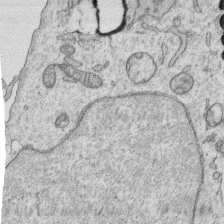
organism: Human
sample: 1205lu cells